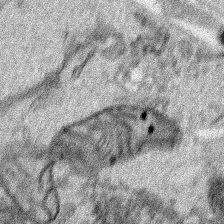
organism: Human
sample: Mitochondria in HCT116 cells